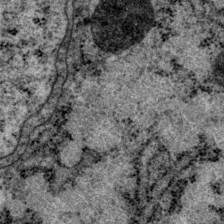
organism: P. pacificus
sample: Pharynx